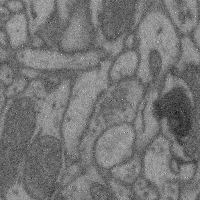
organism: Mouse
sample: Cerebral cortex